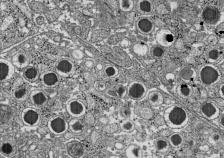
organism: C57BL Mouse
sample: Pancreatic islet